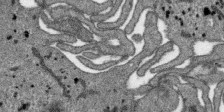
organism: Human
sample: Lung epithelial cells, uninfected (mock) control